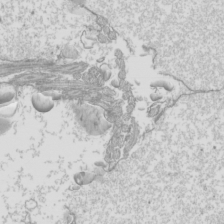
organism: Mouse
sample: Cilia; mouse epididymis